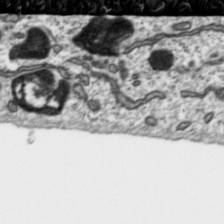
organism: Toxoplasma gondii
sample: Parasites in a vacuole inside a host cell